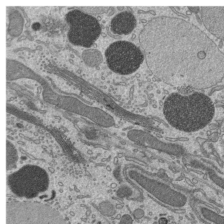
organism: Mouse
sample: Mouse epididymis efferent ductule cilia